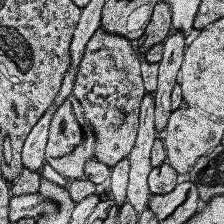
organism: Human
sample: Temporal Lobe